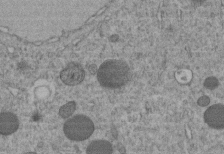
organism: C. elegans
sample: C. elegans embryo early stage